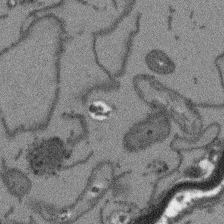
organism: Arabidopsis thaliana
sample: Root tip